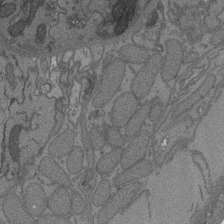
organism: C. elegans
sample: AFD neurons C. elegans